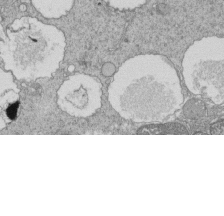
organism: Tetrahymena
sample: Cilia in tetrahymena